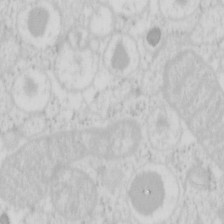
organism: Mouse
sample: Pancreas